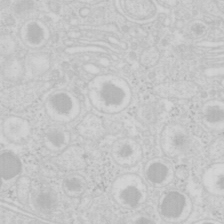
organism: Mouse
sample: Pancreas